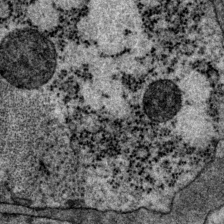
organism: P. pacificus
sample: Pharynx